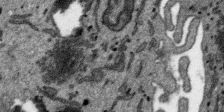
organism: Human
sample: Lung epithelial cells, uninfected (mock) control